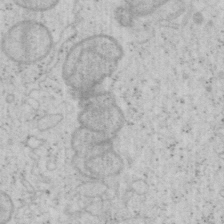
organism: Human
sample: HeLa cells